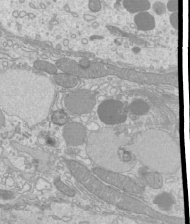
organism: Mouse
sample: Cilia; mouse epididymis